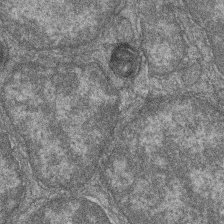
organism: Zebrafish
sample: Cilia; retinal pigment epithelium